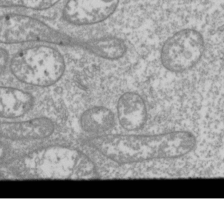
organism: Drosophila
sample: Cell division; meiosis; drosophila spermatocytes